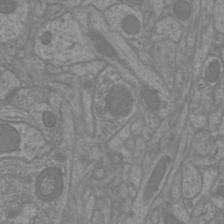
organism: Mouse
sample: Cortical neurons